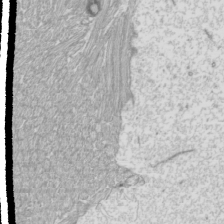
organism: Mouse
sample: Cilia; mouse epididymis